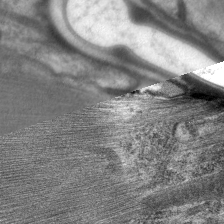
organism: C. elegans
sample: Pharynx